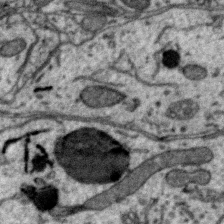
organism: Zebra finch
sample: Brain